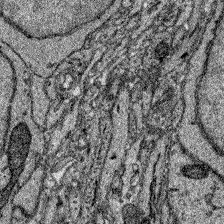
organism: Zebrafish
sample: Larval olfactory bulb